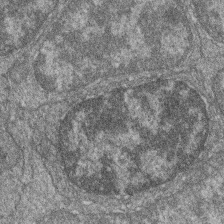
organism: Zebrafish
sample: Cilia; retinal pigment epithelium